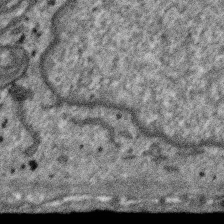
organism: Human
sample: Lung epithelial cells infected with SARS-CoV-2